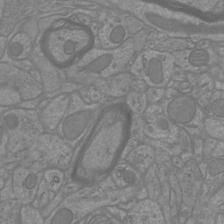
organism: Mouse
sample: Cortical neurons